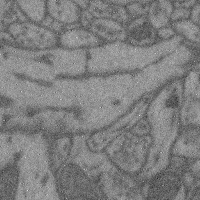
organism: Mouse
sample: Cerebral cortex